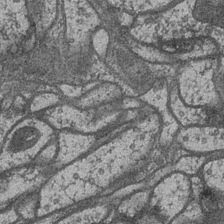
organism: Drosophila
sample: Optic medulla